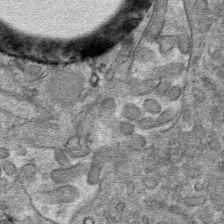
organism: Mouse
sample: Mouse hepatocytes